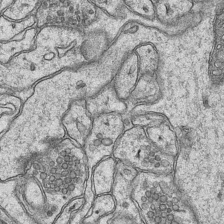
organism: Mouse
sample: CA1 Hippocampus